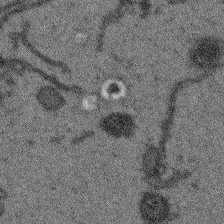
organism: Arabidopsis thaliana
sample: Root tip